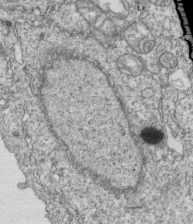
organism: Human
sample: HeLa cell HIV synapse